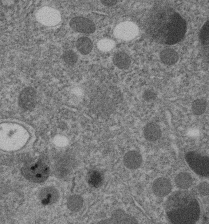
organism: C. elegans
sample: C. elegans embryo early stage